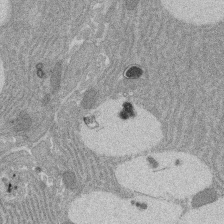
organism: Rat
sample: Salivary granule